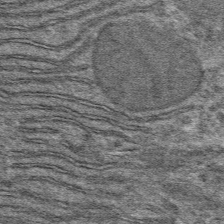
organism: Mouse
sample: Mouse hepatocytes